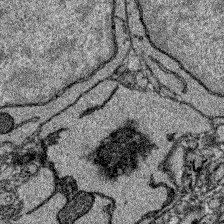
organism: Zebrafish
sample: Larval olfactory bulb